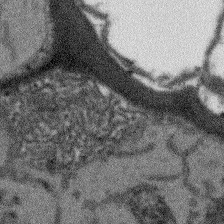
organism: Arabidopsis thaliana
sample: Root tip